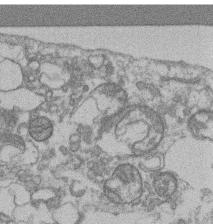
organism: Mouse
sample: T cell stromal cell synapse